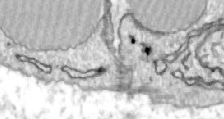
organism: Zebrafish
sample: Actinotrichia fibers